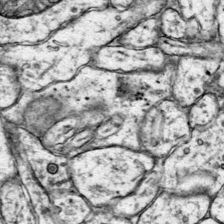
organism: Mouse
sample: Primary visual cortex